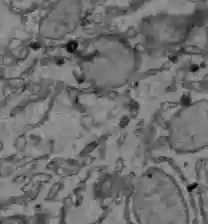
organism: C57BL Mouse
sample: Liver